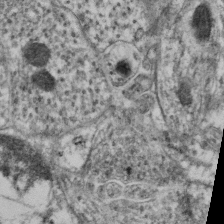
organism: Mouse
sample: Neocortex